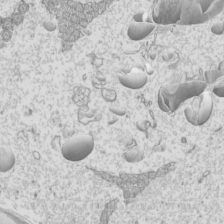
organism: Mouse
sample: Cilia; mouse epididymis